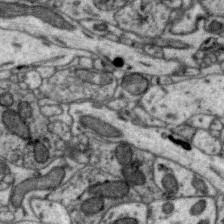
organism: Zebra finch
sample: Brain